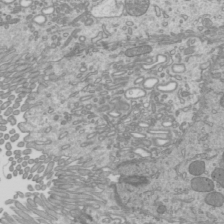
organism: Mouse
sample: Cilia; mouse epididymis